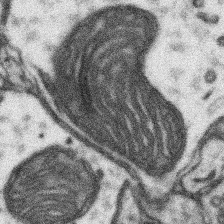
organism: Mouse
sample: Somatosensory cortex neuropil